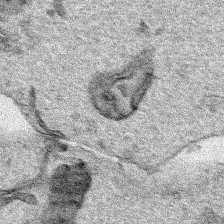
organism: Human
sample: Mitochondria in HCT116 cells